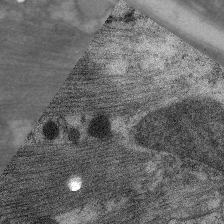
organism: C. elegans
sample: Pharynx